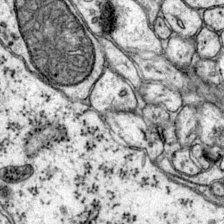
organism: Mouse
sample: Primary visual cortex